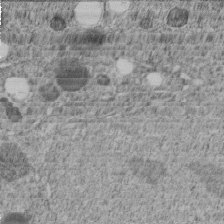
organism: C. elegans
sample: C. elegans embryo early stage